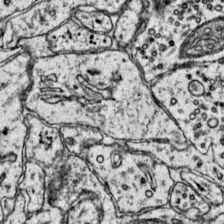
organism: Mouse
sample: Primary visual cortex